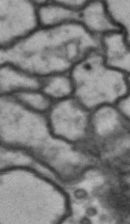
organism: Drosophila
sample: Brain